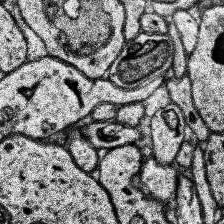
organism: Human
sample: Temporal Lobe